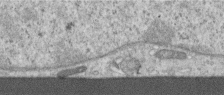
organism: Human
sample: Centriole in RPE cells